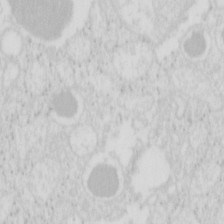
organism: Mouse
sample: Pancreas